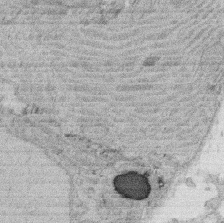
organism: Rat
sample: Salivary granule